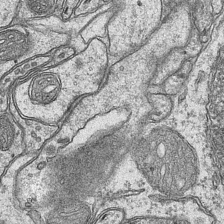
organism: Mouse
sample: CA1 Hippocampus